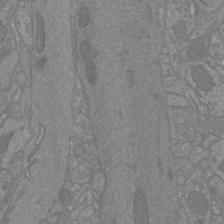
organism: Mouse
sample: Cortical neurons